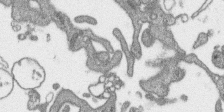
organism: Human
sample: Lung epithelial cells infected with SARS-CoV-2